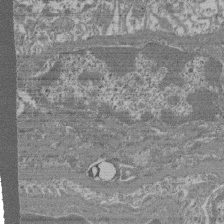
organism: Mouse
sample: Glomerulus